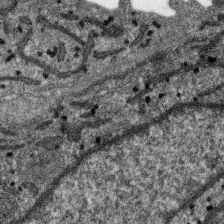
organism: Human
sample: Lung epithelial cells infected with SARS-CoV-2